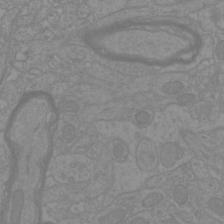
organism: Mouse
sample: Cortical neurons